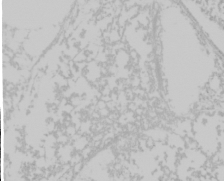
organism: Mouse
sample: Cancer cell death in ED-1 cells